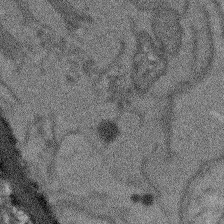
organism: Arabidopsis thaliana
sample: Root tip